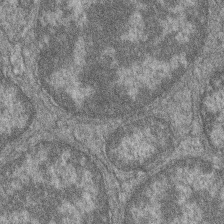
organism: Zebrafish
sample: Cilia; retinal pigment epithelium